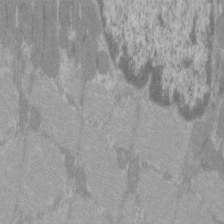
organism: C57BL Mouse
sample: Tibialis anterior muscle cell